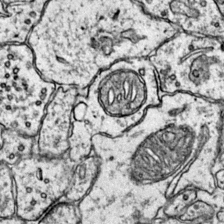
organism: Mouse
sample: Primary visual cortex